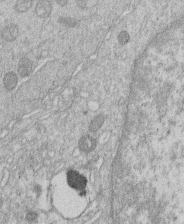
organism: Human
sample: Macrophage cells